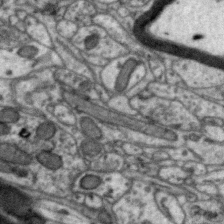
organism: Zebra finch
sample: Brain